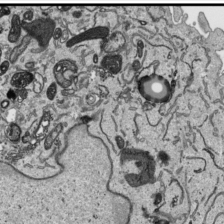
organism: Human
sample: Mitochondria in HCT116 cells